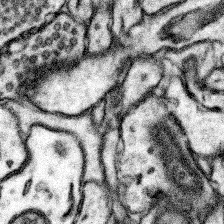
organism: Mouse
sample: Somatosensory cortex neuropil